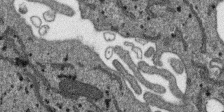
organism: Human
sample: Lung epithelial cells infected with SARS-CoV-2